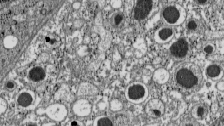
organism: C57BL Mouse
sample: Pancreatic islet